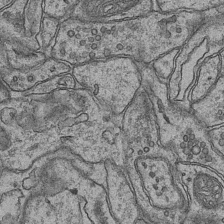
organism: Mouse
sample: CA1 Hippocampus